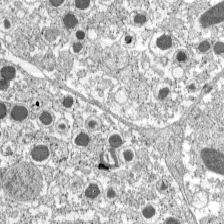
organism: C57BL Mouse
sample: Pancreatic islet